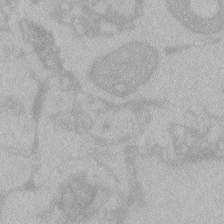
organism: Zebrafish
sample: Macrophage infected with Toxoplasma gondii